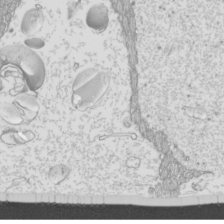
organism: Mouse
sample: Cilia; mouse epididymis